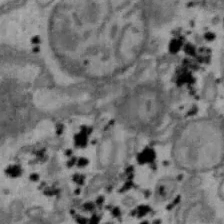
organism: Mouse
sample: Liver